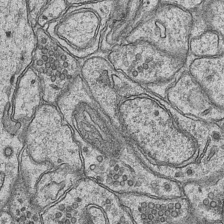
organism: Mouse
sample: CA1 Hippocampus